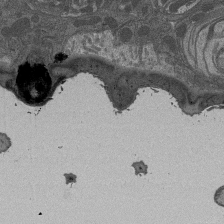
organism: Drosophila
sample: Antenna